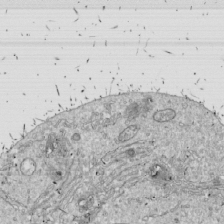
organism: Drosophila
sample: Cell division; meiosis; drosophila spermatocytes